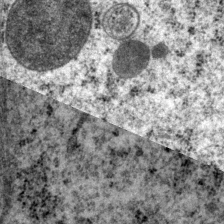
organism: P. pacificus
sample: Pharynx